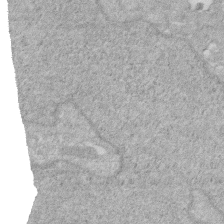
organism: Human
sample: HIV infected U937 cells